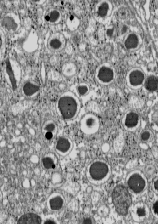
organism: C57BL Mouse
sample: Pancreatic islet